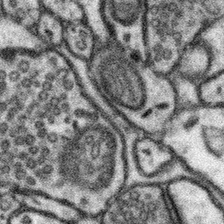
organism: Mouse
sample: Somatosensory cortex neuropil